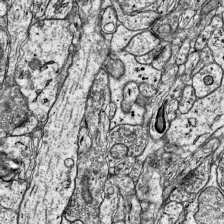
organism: Mouse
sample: Visual Cortex